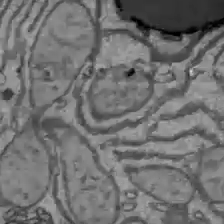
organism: C57BL Mouse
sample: Liver